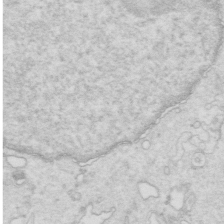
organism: Mouse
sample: Multiciliated cells